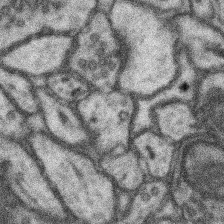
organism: Mouse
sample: Somatosensory cortex neuropil